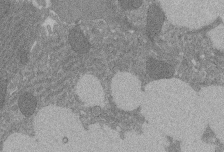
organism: Rat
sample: Salivary granule